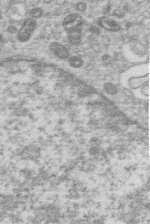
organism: Human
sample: Macrophage cells